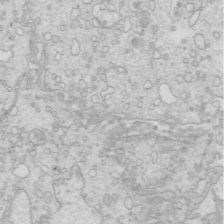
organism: Mouse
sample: Multiciliated cells